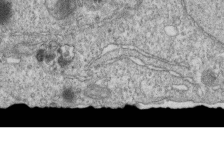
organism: Human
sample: HeLa cell HIV synapse